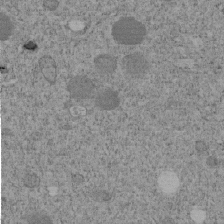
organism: C. elegans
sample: C. elegans embryo early stage